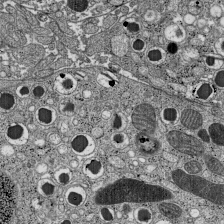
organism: C57BL Mouse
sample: Pancreatic islet